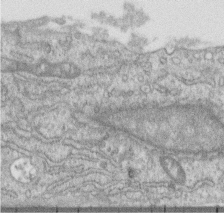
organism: Human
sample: Centriole in RPE cells